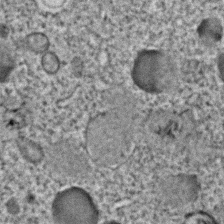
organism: C. elegans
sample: C. elegans embryo